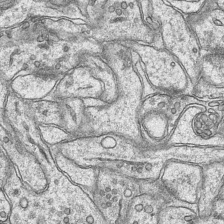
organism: Mouse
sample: CA1 Hippocampus